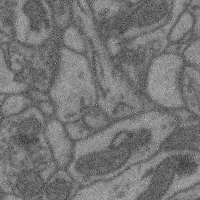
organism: Mouse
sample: Cerebral cortex